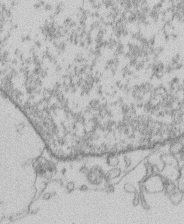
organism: Human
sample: Macrophage cells